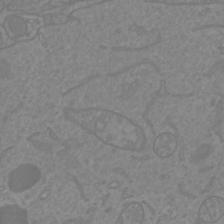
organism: Mouse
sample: Cortical neurons